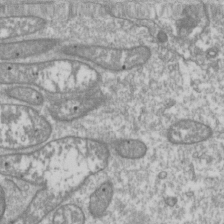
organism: Drosophila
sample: Cell division; meiosis; drosophila spermatocytes